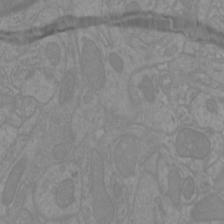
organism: Mouse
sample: Cortical neurons